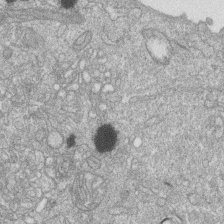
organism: Human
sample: HeLa cell HIV synapse